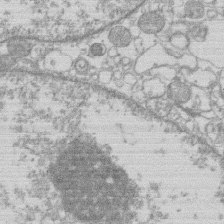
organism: Human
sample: Macrophage cells